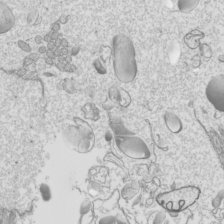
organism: Mouse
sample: Cilia; mouse epididymis